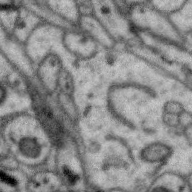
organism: Zebra finch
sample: Brain